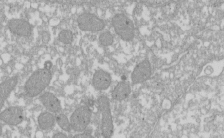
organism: Xenopus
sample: Cilia; centrioles in frog embryo cells